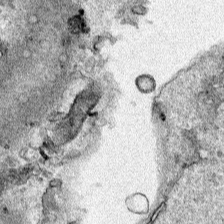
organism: Human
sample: Mitochondria in HCT116 cells